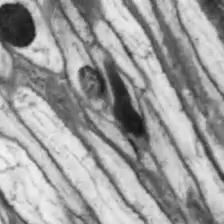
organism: Drosophila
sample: Optic lobe